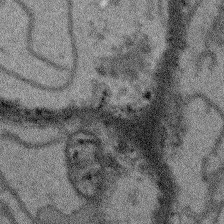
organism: Arabidopsis thaliana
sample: Root tip